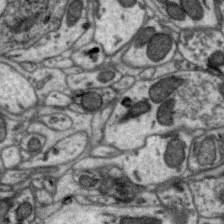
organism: Zebra finch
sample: Brain